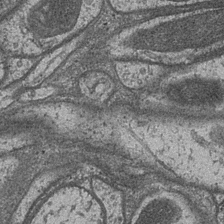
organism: Drosophila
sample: Optic medulla